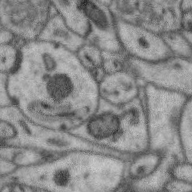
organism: Zebra finch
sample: Brain